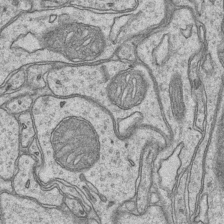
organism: Mouse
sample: CA1 Hippocampus